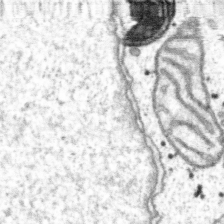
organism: Human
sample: HeLa cells